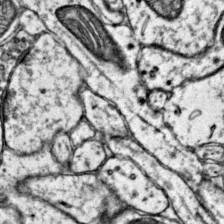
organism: Mouse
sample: Primary visual cortex